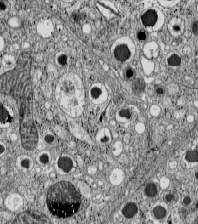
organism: C57BL Mouse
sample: Pancreatic islet